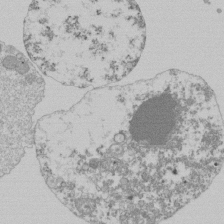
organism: Mouse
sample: Activated Pmel transgenic CD8+ T Cells